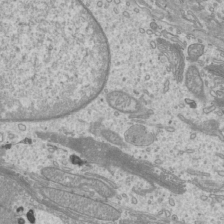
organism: Mouse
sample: Cilia; mouse epididymis